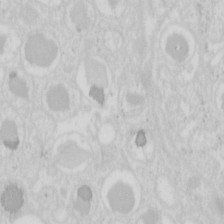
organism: Mouse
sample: Pancreas